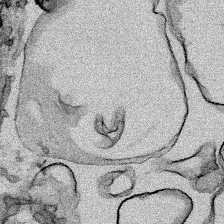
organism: Human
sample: Mitochondria in HCT116 cells